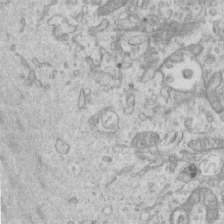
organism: Mouse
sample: Centriole in ependymal cells